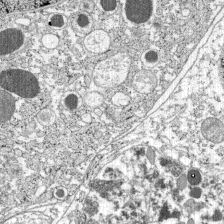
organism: C57BL Mouse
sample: Pancreatic islet